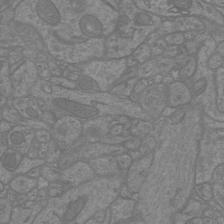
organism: Mouse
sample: Cortical neurons